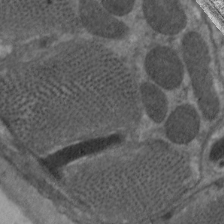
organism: C. elegans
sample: Pharynx